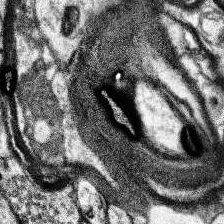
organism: Human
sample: Temporal Lobe